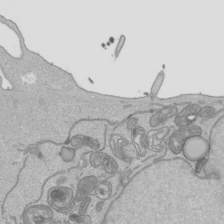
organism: Human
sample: Mitochondria in HCT116 cells